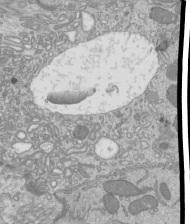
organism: Mouse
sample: Cilia; mouse epididymis